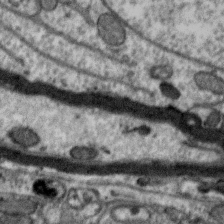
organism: Zebra finch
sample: Brain